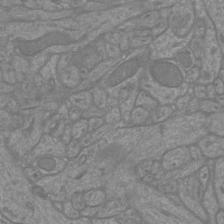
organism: Mouse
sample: Cortical neurons